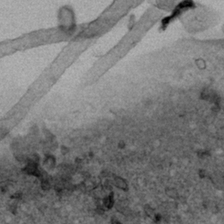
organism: Human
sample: Mitochondria in HCT116 cells